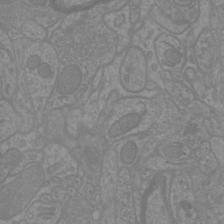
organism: Mouse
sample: Cortical neurons